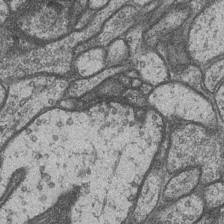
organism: Drosophila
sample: Optic medulla